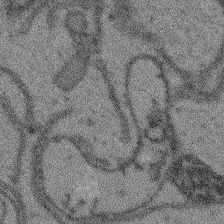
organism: Arabidopsis thaliana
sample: Root tip